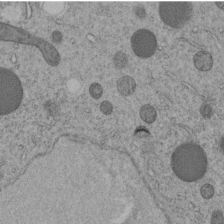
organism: C. elegans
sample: C. elegans embryo early stage